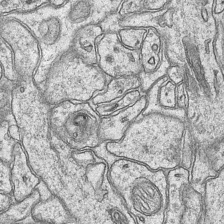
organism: Mouse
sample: CA1 Hippocampus